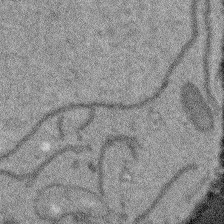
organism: Arabidopsis thaliana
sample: Root tip